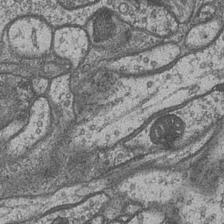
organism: Drosophila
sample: Optic medulla